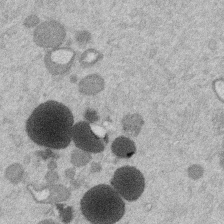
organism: Mouse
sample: Dividing mouse embryo 1 cell stage